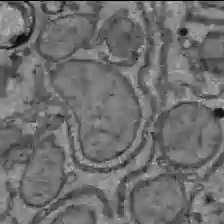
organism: C57BL Mouse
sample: Liver